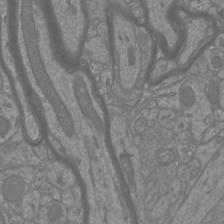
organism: Mouse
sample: Cortical neurons